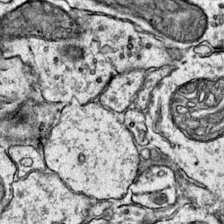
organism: Mouse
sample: Primary visual cortex